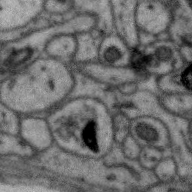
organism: Zebra finch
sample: Brain